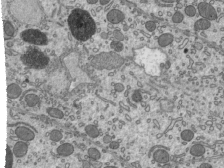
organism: Mouse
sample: Mouse epididymis efferent ductule cilia